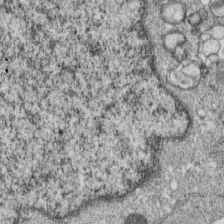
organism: African green monkey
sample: Vero E6 cells infected with SARS-CoV-2